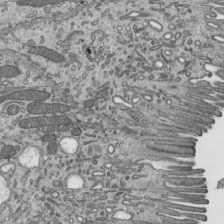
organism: Mouse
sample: Mouse epididymis efferent ductule cilia